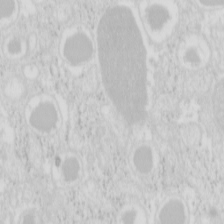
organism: Mouse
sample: Pancreas